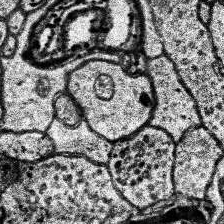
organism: Human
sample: Temporal Lobe